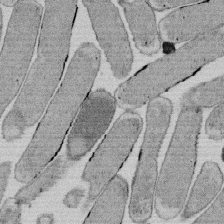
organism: E. coli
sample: Bacterial nucleoid